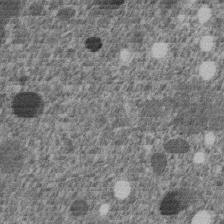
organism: C. elegans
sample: C. elegans embryo early stage